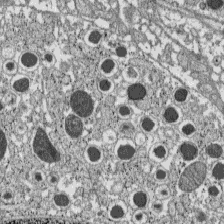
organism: C57BL Mouse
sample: Pancreatic islet